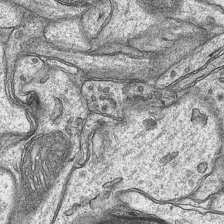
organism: Mouse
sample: CA1 Hippocampus